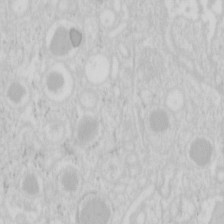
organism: Mouse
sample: Pancreas